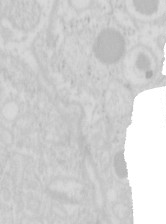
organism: Mouse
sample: Pancreas